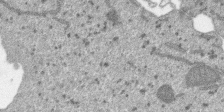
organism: Human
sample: Lung epithelial cells infected with SARS-CoV-2